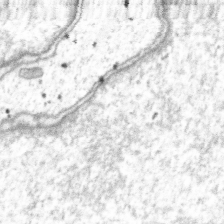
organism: Human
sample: HeLa cells